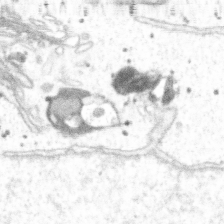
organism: Human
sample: HeLa cells